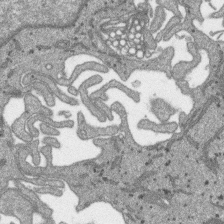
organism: Human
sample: Lung epithelial cells infected with SARS-CoV-2